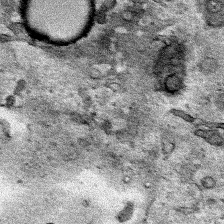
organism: Human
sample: Mitochondria in HCT116 cells